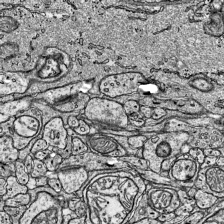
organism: Mouse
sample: Visual Cortex